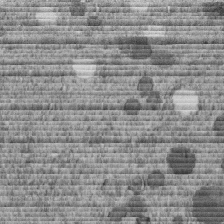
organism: C. elegans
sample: C. elegans embryo early stage